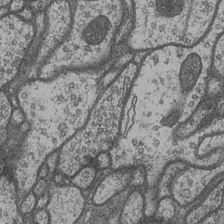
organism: Drosophila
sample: Optic medulla